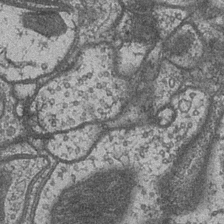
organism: Drosophila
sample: Optic medulla